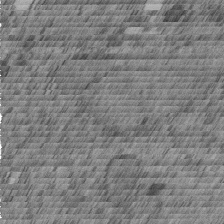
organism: C. elegans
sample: C. elegans embryo early stage